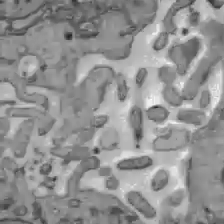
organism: C57BL Mouse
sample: Liver